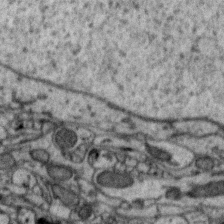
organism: Zebra finch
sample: Brain